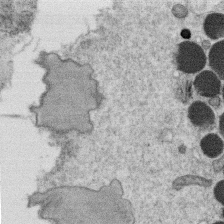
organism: C. elegans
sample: C. elegans oocyte; sperm cells